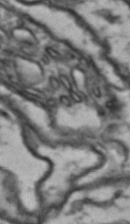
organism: Drosophila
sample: Brain